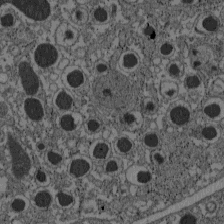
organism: C57BL Mouse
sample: Pancreatic islet